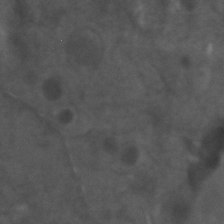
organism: Zebrafish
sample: Zebrafish embryo